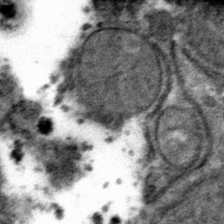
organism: Mouse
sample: Mouse hepatocytes